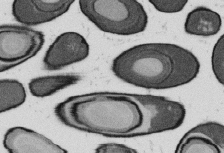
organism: B. subtilis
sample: Bacterial spore